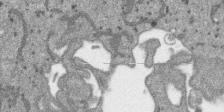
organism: Human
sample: Lung epithelial cells infected with SARS-CoV-2